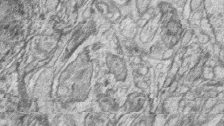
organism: Zebrafish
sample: synaptic ribbons in rod cells and cone cells